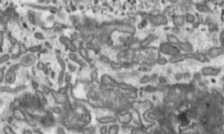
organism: Toxoplasma gondii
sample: Parasites in a vacuole inside a host cell